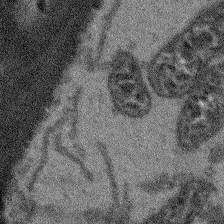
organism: Arabidopsis thaliana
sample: Root tip